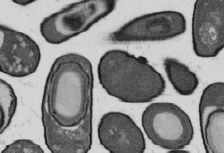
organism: B. subtilis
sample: Bacterial spore